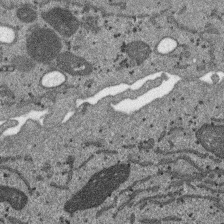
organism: Human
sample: Lung epithelial cells infected with SARS-CoV-2